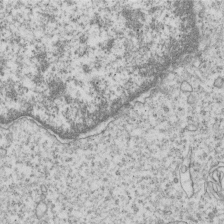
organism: Human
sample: MDA-MB-231 cells